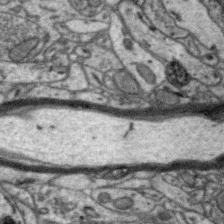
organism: Zebra finch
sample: Brain